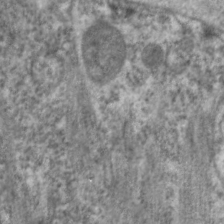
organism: C. elegans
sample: Pharynx